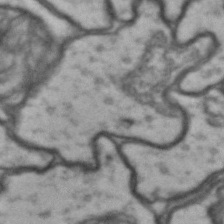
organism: Drosophila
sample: Brain